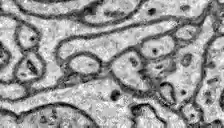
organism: Zebrafish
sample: Brain